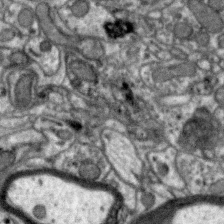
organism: Zebra finch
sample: Brain